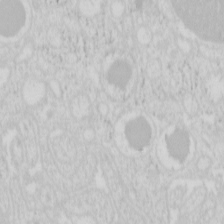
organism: Mouse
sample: Pancreas